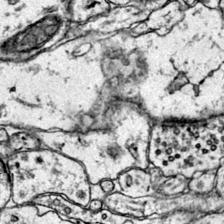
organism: Mouse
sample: Primary visual cortex